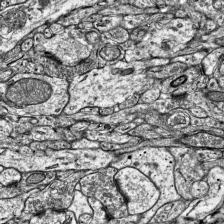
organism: Mouse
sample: Visual Cortex